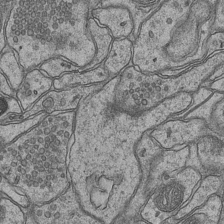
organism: Mouse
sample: CA1 Hippocampus